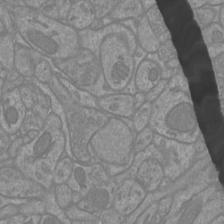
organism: Mouse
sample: Cortical neurons